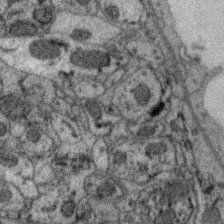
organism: Zebra finch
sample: Brain